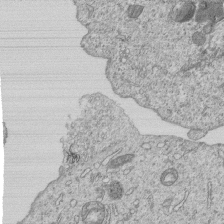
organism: Human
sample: MDA-MB-231 cells